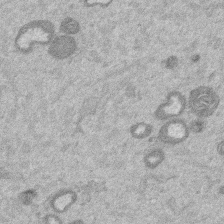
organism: Mouse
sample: Dividing mouse embryo 1 cell stage